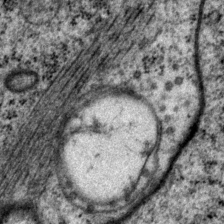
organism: P. pacificus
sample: Pharynx